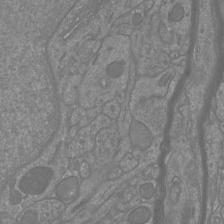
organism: Mouse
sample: Cortical neurons